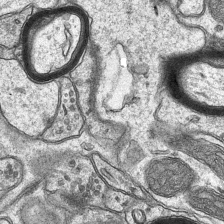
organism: Mouse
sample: CA1 Hippocampus